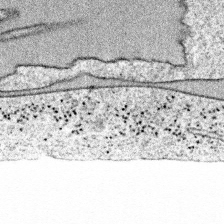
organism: Human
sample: HeLa cells